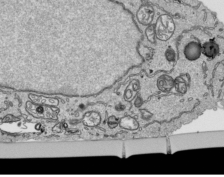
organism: Human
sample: Mitochondria in HCT116 cells